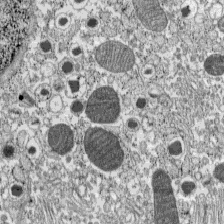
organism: C57BL Mouse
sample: Pancreatic islet